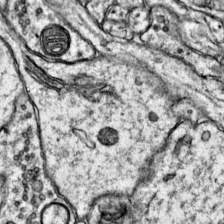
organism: Mouse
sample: Primary visual cortex